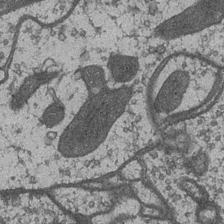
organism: Drosophila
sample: Optic medulla